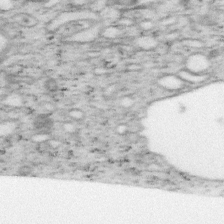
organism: Mouse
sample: OT-I killer T cells with ID8 ovarian cancer cells